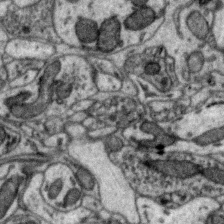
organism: Zebra finch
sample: Brain